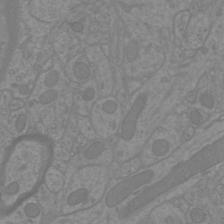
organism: Mouse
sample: Cortical neurons